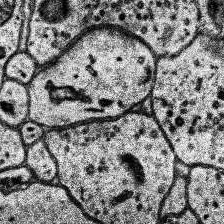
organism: Human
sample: Temporal Lobe